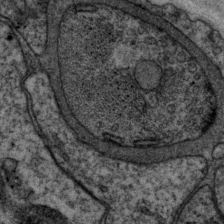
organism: P. pacificus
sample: Pharynx